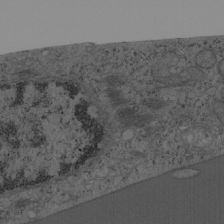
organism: Human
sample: HeLa cells